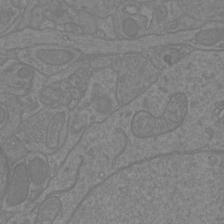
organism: Mouse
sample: Cortical neurons